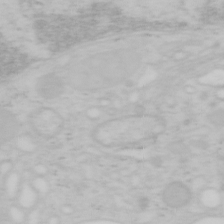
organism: Mouse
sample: OT-I killer T cells with ID8 ovarian cancer cells